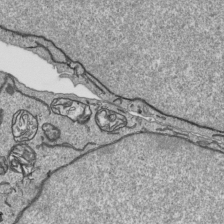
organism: Human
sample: Mitochondria in HCT116 cells